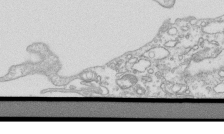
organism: Mouse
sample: Macrophages